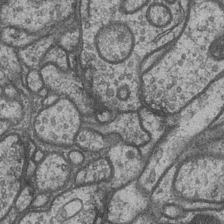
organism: Drosophila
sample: Optic medulla